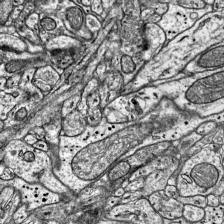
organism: Mouse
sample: Visual Cortex